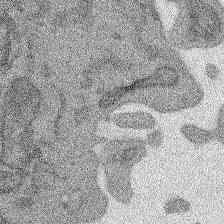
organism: Human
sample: HeLa cells